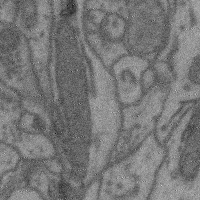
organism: Mouse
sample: Cerebral cortex